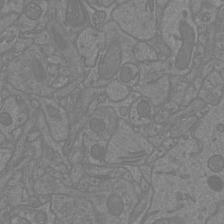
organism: Mouse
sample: Cortical neurons